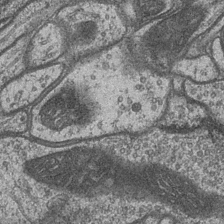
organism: Drosophila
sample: Optic medulla